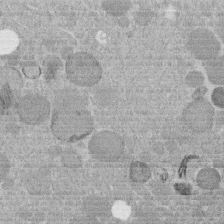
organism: C. elegans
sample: C. elegans embryo early stage